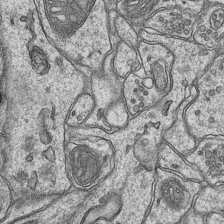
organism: Mouse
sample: CA1 Hippocampus